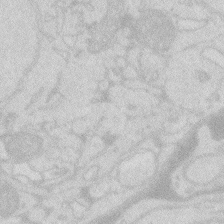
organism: Zebrafish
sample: Macrophage